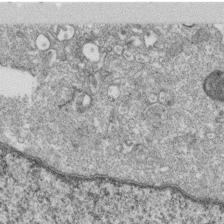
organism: African green monkey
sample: Vero E6 cells infected with SARS-CoV-2